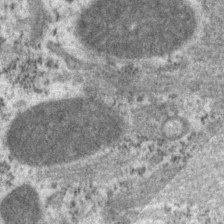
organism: P. pacificus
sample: Pharynx